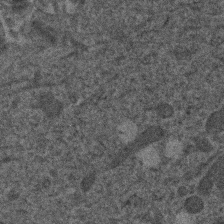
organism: Human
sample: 1205lu cells